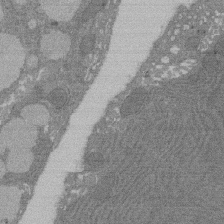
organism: Rat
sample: Salivary granule